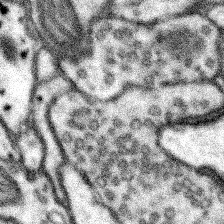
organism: Mouse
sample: Somatosensory cortex neuropil